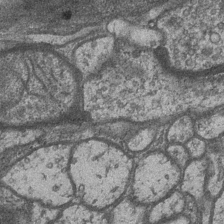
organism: Drosophila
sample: Optic medulla